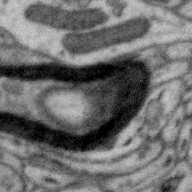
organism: Zebra finch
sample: Brain